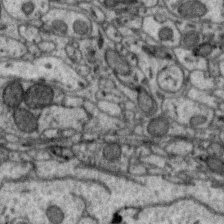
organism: Zebra finch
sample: Brain